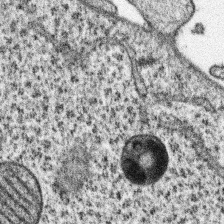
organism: Human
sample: HeLa cells